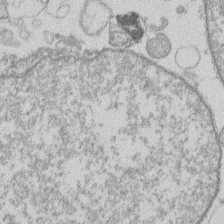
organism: Human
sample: Macrophage cells